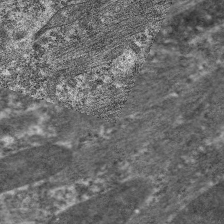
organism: C. elegans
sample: Pharynx